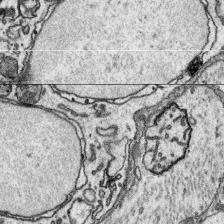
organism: Platynereis dumerilii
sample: Parapodia